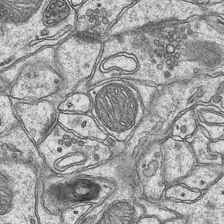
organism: Mouse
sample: CA1 Hippocampus